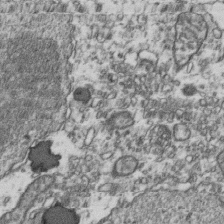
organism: Human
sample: Activated Jurkat CD4+ T cells